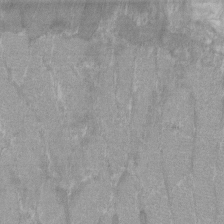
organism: C57BL Mouse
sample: Tibialis anterior muscle cell